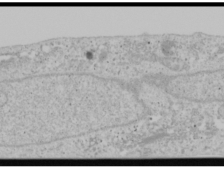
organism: Human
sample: Mitochondria in U2OS cells